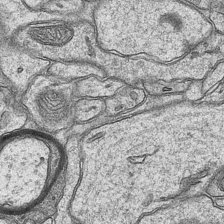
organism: Mouse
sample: CA1 Hippocampus